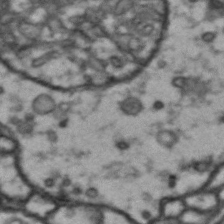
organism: Drosophila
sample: Brain